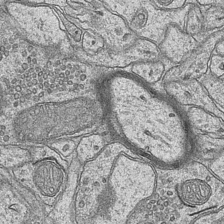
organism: Mouse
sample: CA1 Hippocampus